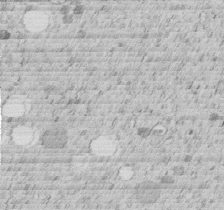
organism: C. elegans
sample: C. elegans embryo early stage